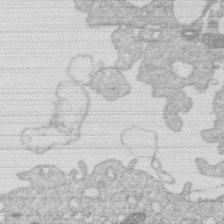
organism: Human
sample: Macrophage cells